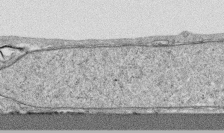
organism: Human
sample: CRL-1474